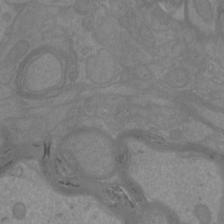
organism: Mouse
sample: Cortical neurons